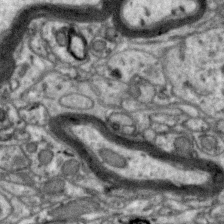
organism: Zebra finch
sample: Brain